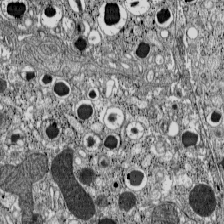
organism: C57BL Mouse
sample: Pancreatic islet